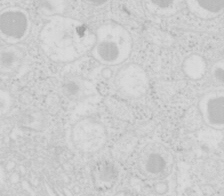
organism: Mouse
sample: Pancreas